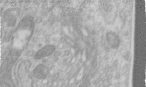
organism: Human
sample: Centriole in RPE cells